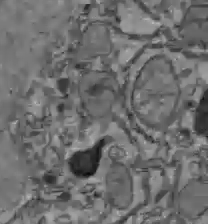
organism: C57BL Mouse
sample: Liver